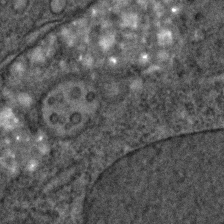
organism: C. elegans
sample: C. elegans embryo